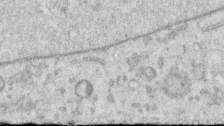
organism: Human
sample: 1205lu cells